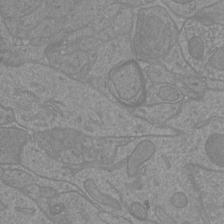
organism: Mouse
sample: Cortical neurons